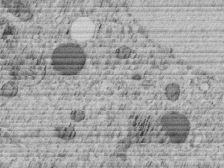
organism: C. elegans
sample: C. elegans embryo early stage